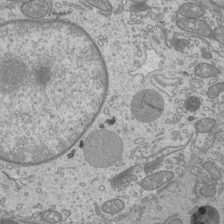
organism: Mouse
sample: Cilia; mouse epididymis